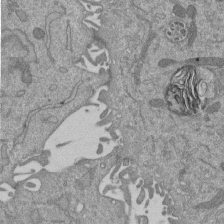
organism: Mouse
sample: ED-1 cell nuclei; centrioles